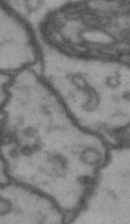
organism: Drosophila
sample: Brain